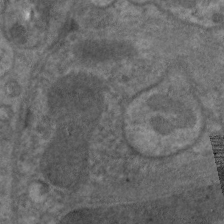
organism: C. elegans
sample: Pharynx